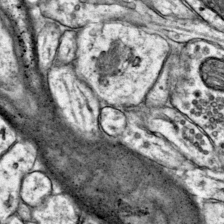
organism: Mouse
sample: Primary visual cortex